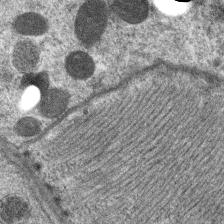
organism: C. elegans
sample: Pharynx